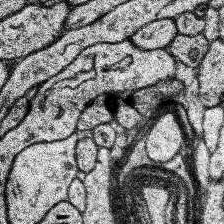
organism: Human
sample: Temporal Lobe